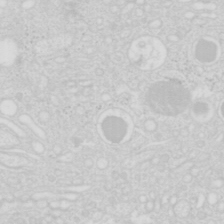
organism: Mouse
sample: Pancreas